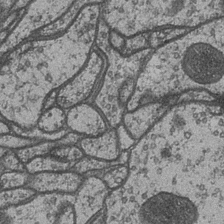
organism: Drosophila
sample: Optic medulla